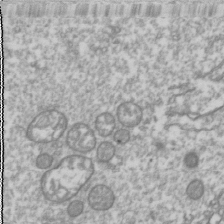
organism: Drosophila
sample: Cell division; meiosis; drosophila spermatocytes